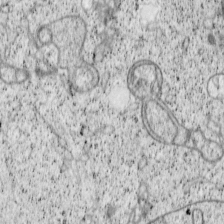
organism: African green monkey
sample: COS-7 cells